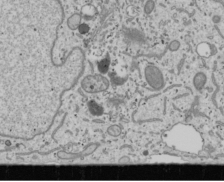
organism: Human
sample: Mitochondria in U2OS cells